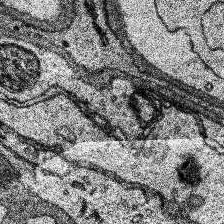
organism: Human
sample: Temporal Lobe